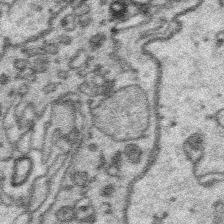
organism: Platynereis dumerilii